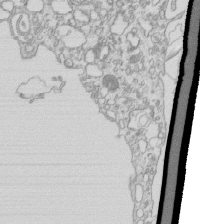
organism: Mouse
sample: Macrophages